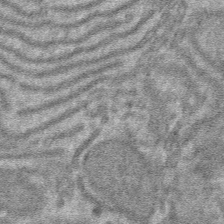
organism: Mouse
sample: Mouse hepatocytes